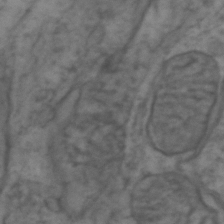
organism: Zebrafish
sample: Zebrafish embryo